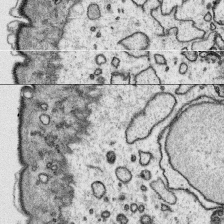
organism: Platynereis dumerilii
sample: Parapodia